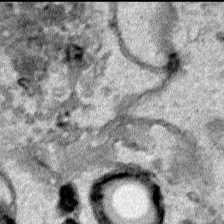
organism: Human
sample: Mitochondria in HCT116 cells